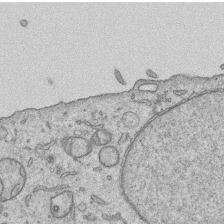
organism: Human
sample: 1205lu cells